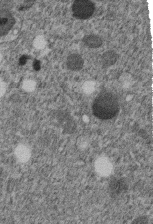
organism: C. elegans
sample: C. elegans embryo early stage